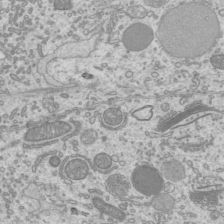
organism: Mouse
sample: Cilia; mouse epididymis